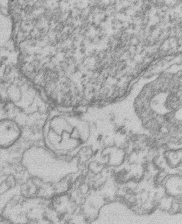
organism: Mouse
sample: T cell stromal cell synapse